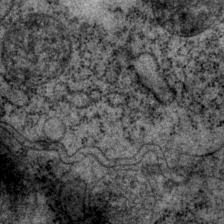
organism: P. pacificus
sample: Pharynx